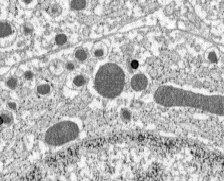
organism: C57BL Mouse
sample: Pancreatic islet